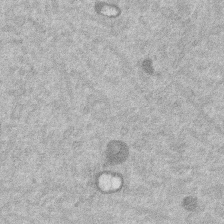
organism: Mouse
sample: Dividing mouse embryo 1 cell stage